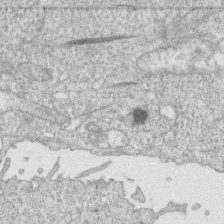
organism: Human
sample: HeLa cell HIV synapse